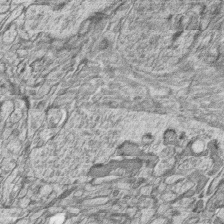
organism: Zebrafish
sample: synaptic ribbons in rod cells and cone cells